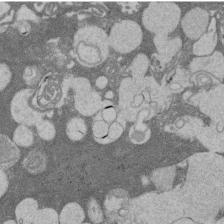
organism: Rat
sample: Salivary granule